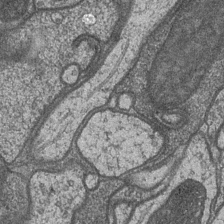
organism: Drosophila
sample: Optic medulla